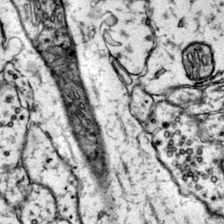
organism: Mouse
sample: Primary visual cortex